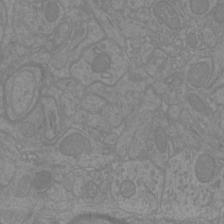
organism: Mouse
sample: Cortical neurons